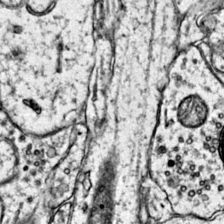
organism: Mouse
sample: Primary visual cortex